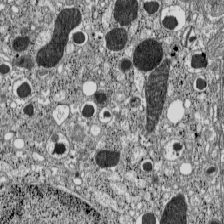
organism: C57BL Mouse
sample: Pancreatic islet